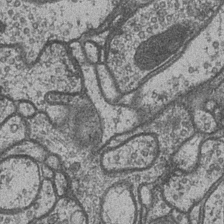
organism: Drosophila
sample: Optic medulla